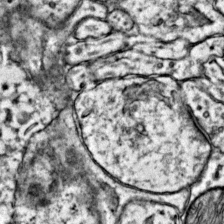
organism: Mouse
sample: Primary visual cortex